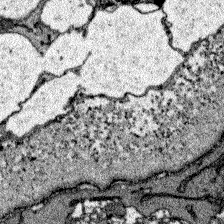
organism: Zebrafish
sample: Larval olfactory bulb